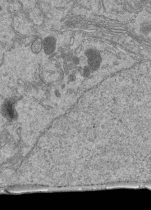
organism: Human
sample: Retinal organoid Rod and Cone cells